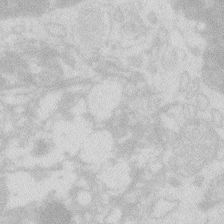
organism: Zebrafish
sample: Macrophage